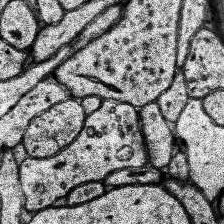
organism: Human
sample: Temporal Lobe